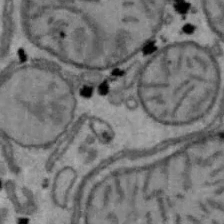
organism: Mouse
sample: Liver